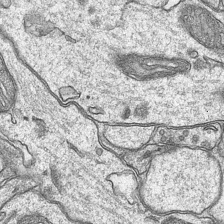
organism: Mouse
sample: CA1 Hippocampus